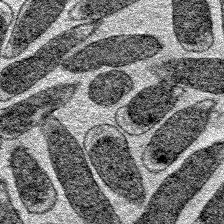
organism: E. coli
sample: E. Coli Bacteria